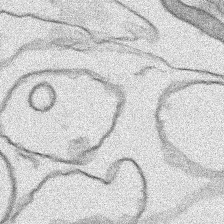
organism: Human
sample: Mitochondria in HCT116 cells